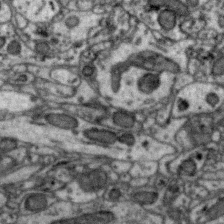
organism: Zebra finch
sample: Brain